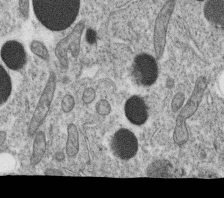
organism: C. elegans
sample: C. elegans oocyte; sperm cells